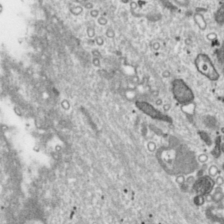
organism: Toxoplasma gondii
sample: Parasites in a vacuole inside a host cell